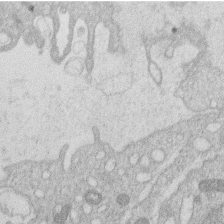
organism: Human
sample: Macrophage cells